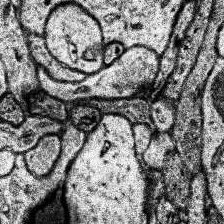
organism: Human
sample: Temporal Lobe